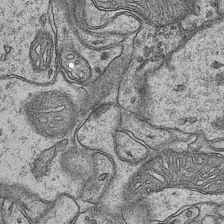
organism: Mouse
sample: CA1 Hippocampus